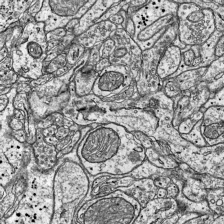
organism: Mouse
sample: Visual Cortex